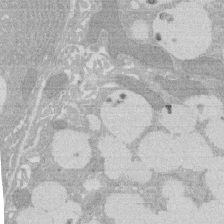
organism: Rat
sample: Salivary granule